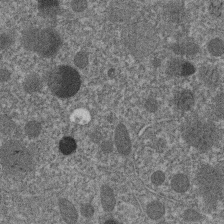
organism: C. elegans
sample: C. elegans embryo early stage